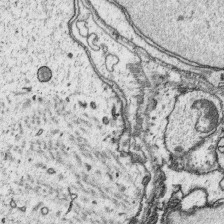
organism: Platynereis dumerilii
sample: Parapodia